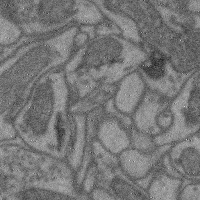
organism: Mouse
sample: Cerebral cortex